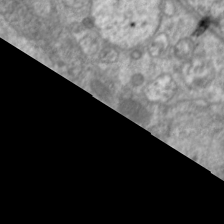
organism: C. elegans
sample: Pharynx